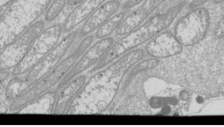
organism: Drosophila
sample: Cell division; meiosis; drosophila spermatocytes